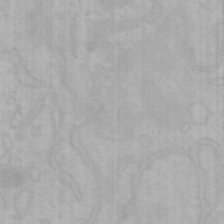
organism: Mouse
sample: Choroid plexus